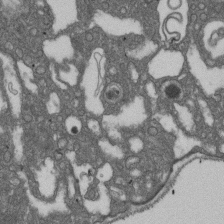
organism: Drosophila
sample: Nephrocyte